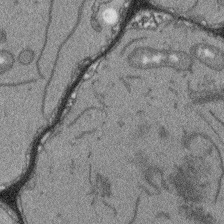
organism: Arabidopsis thaliana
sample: Root tip